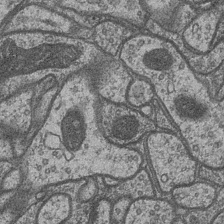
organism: Drosophila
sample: Optic medulla